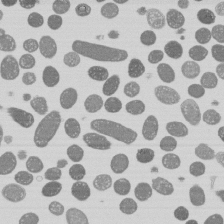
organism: E. coli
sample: Bacterial nucleoid